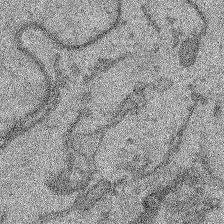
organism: Human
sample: HeLa cells